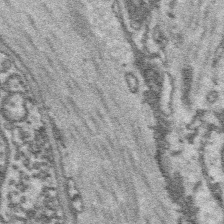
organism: Platynereis dumerilii